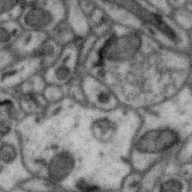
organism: Zebra finch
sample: Brain